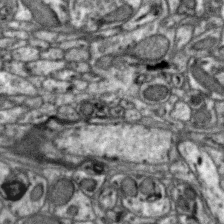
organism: Zebra finch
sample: Brain